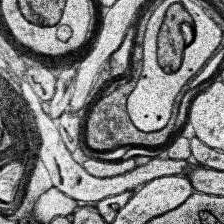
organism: Human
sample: Temporal Lobe